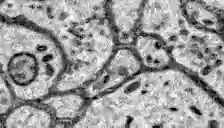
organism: Zebrafish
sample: Brain